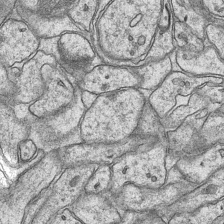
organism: Mouse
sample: CA1 Hippocampus